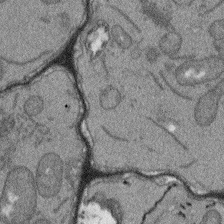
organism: Arabidopsis thaliana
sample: Root tip